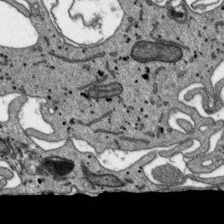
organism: Human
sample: Lung epithelial cells, uninfected (mock) control